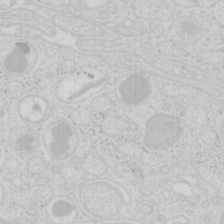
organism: Mouse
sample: Pancreas